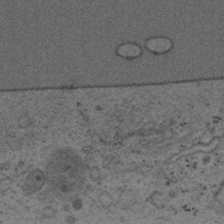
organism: Human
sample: HeLa cells